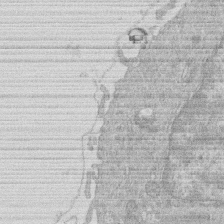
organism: Human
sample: Macrophage cells